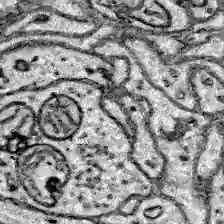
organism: Zebrafish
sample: Brain